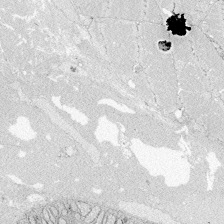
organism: Zebrafish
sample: Whole-Brain